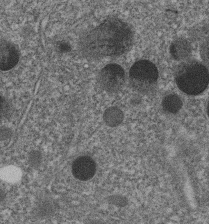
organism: C. elegans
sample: C. elegans embryo early stage